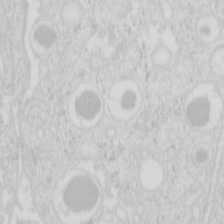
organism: Mouse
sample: Pancreas